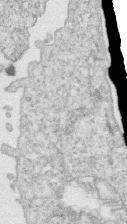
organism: Human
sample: HeLa cell HIV synapse